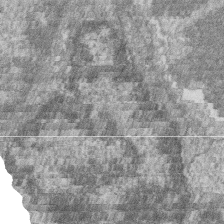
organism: Zebrafish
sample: Cilia; retinal pigment epithelium